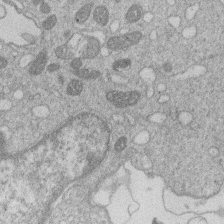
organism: Human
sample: Macrophage cells